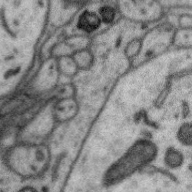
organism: Zebra finch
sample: Brain